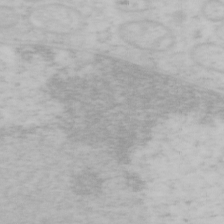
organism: Mouse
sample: OT-I killer T cells with ID8 ovarian cancer cells